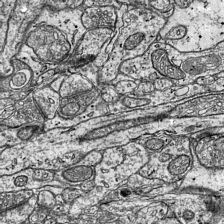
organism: Mouse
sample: Visual Cortex